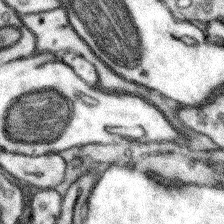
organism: Mouse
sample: Somatosensory cortex neuropil